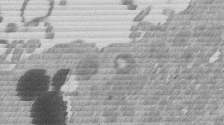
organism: Mouse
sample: Dividing mouse embryo 1 cell stage